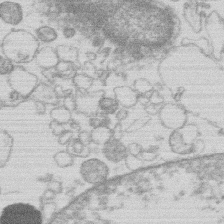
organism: Human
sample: Macrophage cells